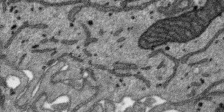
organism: Human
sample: Lung epithelial cells, uninfected (mock) control